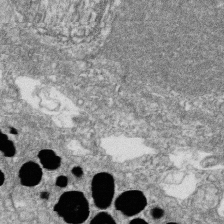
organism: Zebrafish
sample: Cilia; retinal pigment epithelium